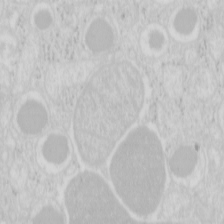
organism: Mouse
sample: Pancreas